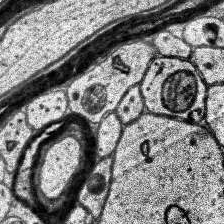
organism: Human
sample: Temporal Lobe